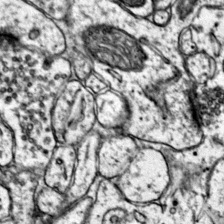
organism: Mouse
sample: Primary visual cortex